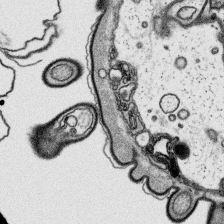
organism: Platynereis dumerilii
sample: Parapodia